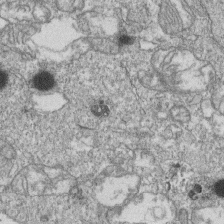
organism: Human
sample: HeLa cell HIV synapse